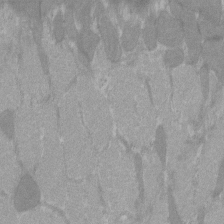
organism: C57BL Mouse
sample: Tibialis anterior muscle cell